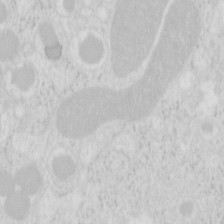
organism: Mouse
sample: Pancreas